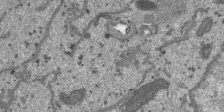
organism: Human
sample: Lung epithelial cells infected with SARS-CoV-2